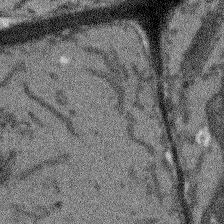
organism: Arabidopsis thaliana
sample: Root tip